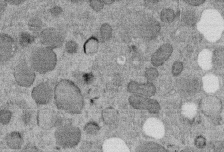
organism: C. elegans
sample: C. elegans embryo early stage